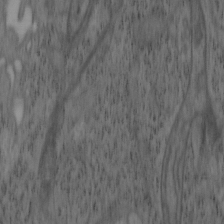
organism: Human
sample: HeLa cells